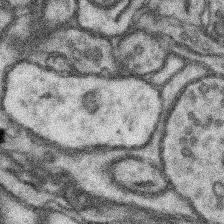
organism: Mouse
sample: Somatosensory cortex neuropil